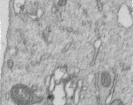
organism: Human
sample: Centriole in RPE cells